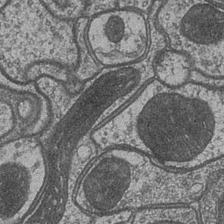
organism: Drosophila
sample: Optic medulla